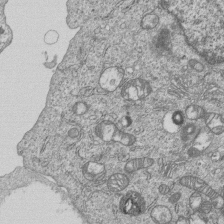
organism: Human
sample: MDA-MB-231 cells